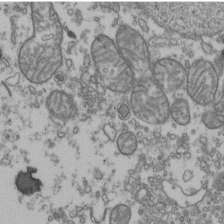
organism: Human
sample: Activated Jurkat CD4+ T cells